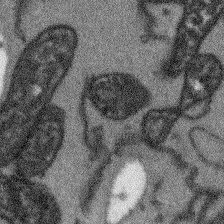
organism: Arabidopsis thaliana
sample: Root tip